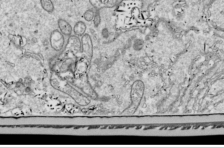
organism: Drosophila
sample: Cell division; meiosis; drosophila spermatocytes